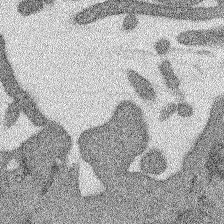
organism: Human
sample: HeLa cells